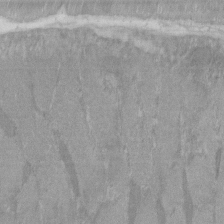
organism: C57BL Mouse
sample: Tibialis anterior muscle cell